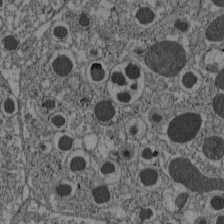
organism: C57BL Mouse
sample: Pancreatic islet